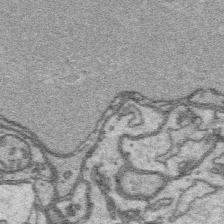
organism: Platynereis dumerilii